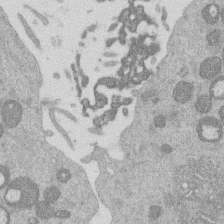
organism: Mouse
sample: Dividing mouse embryo 1 cell stage